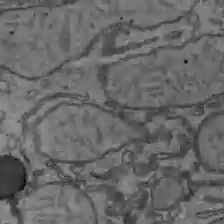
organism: C57BL Mouse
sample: Liver